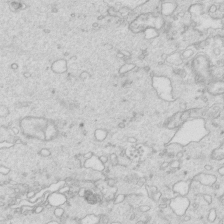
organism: Mouse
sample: Multiciliated cells